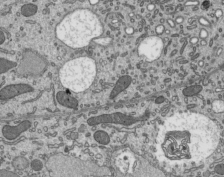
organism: Mouse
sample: Mouse epididymis efferent ductule cilia